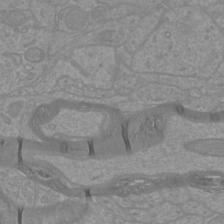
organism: Mouse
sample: Cortical neurons